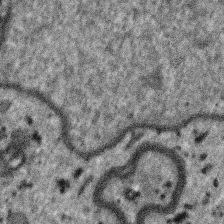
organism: Human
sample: Lung epithelial cells infected with SARS-CoV-2